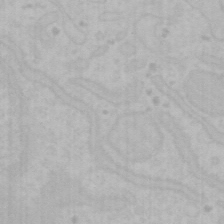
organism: Mouse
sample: Choroid plexus